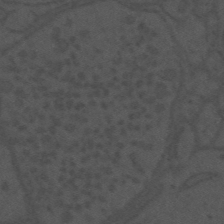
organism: Mouse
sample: Suprachiasmatic nucleus